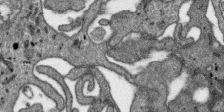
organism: Human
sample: Lung epithelial cells, uninfected (mock) control